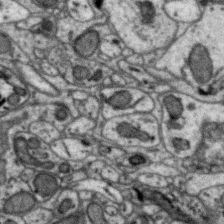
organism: Zebra finch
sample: Brain